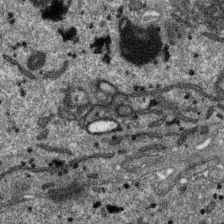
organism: Human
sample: Lung epithelial cells infected with SARS-CoV-2